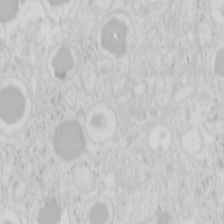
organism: Mouse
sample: Pancreas